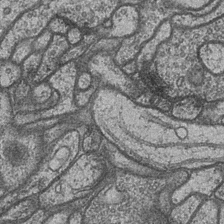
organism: Drosophila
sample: Optic medulla